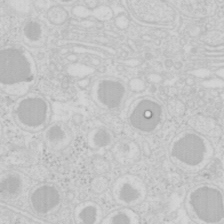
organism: Mouse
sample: Pancreas